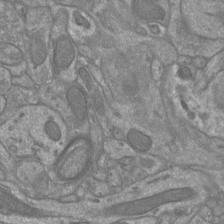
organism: Mouse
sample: Cortical neurons